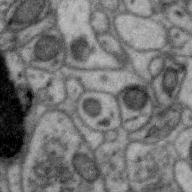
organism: Zebra finch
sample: Brain